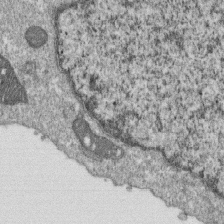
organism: African green monkey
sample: Vero E6 cells infected with SARS-CoV-2